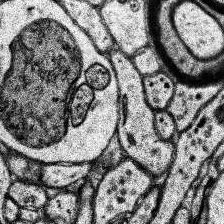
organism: Human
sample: Temporal Lobe